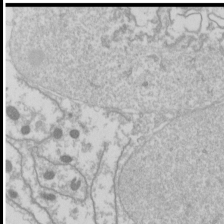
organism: Drosophila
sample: Cell division; meiosis; drosophila spermatocytes